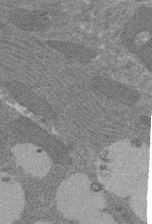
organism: Rat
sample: Salivary granule